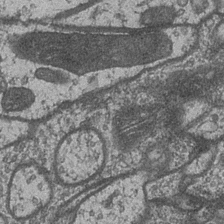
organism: Drosophila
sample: Optic medulla